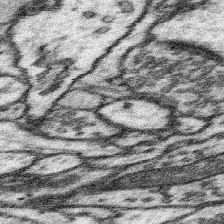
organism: Mouse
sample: Somatosensory cortex neuropil